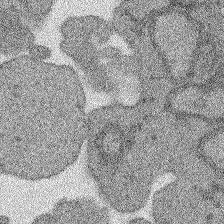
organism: Human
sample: HeLa cells